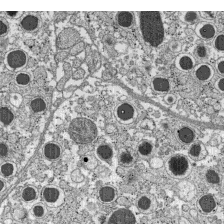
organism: C57BL Mouse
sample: Pancreatic islet